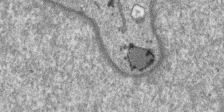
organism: Human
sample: Lung epithelial cells infected with SARS-CoV-2